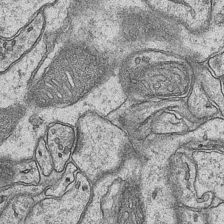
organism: Mouse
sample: CA1 Hippocampus